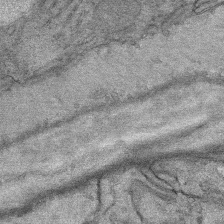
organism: Mouse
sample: Mouse Salivary gland